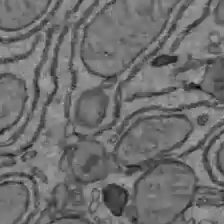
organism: C57BL Mouse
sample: Liver